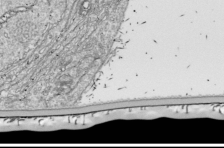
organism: Drosophila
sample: Cell division; meiosis; drosophila spermatocytes